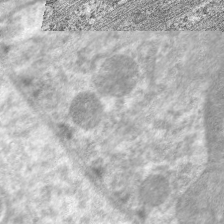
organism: C. elegans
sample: Pharynx